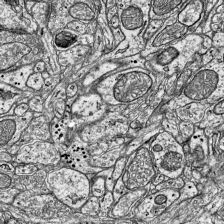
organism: Mouse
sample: Visual Cortex